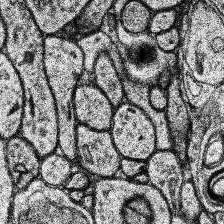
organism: Human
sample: Temporal Lobe